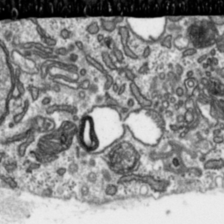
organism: Toxoplasma gondii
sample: Parasites in a vacuole inside a host cell